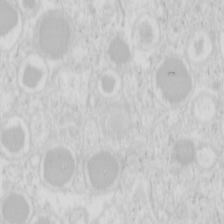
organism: Mouse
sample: Pancreas